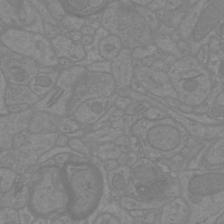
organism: Mouse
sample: Cortical neurons